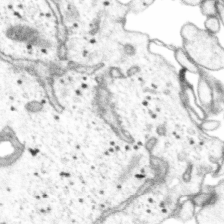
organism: Human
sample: HeLa cells